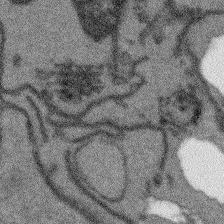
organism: Arabidopsis thaliana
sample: Root tip